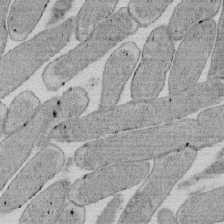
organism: E. coli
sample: Bacterial nucleoid